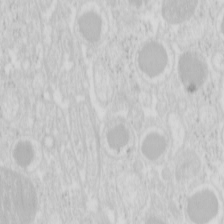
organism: Mouse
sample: Pancreas